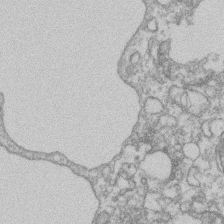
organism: Mouse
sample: T cell stromal cell synapse